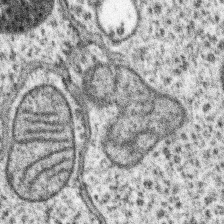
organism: Human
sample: HeLa cells